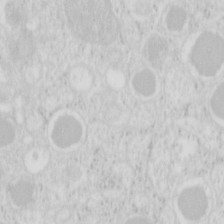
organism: Mouse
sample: Pancreas